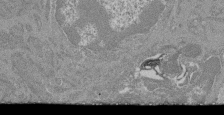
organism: Mouse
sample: Glomerulus